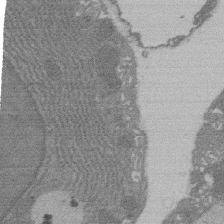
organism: Rat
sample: Salivary granule